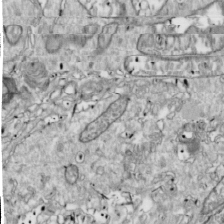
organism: Drosophila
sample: Cell division; meiosis; drosophila spermatocytes